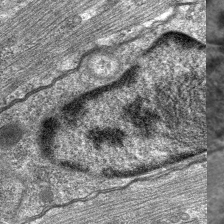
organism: C. elegans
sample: Pharynx